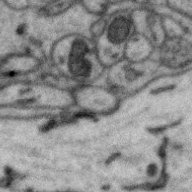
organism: Zebra finch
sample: Brain